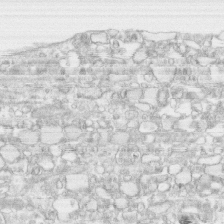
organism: Human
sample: CRL-1474